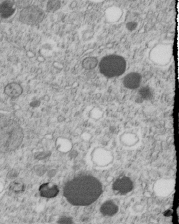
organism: C. elegans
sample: C. elegans embryo early stage